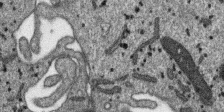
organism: Human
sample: Lung epithelial cells infected with SARS-CoV-2